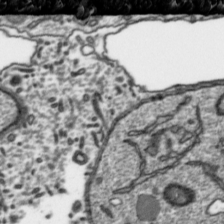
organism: Toxoplasma gondii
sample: Parasites in a vacuole inside a host cell